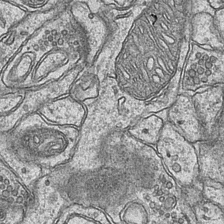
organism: Mouse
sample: CA1 Hippocampus